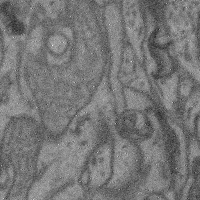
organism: Mouse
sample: Cerebral cortex